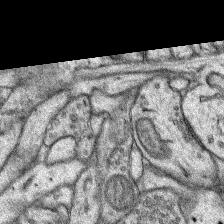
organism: Rat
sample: Hippocampus